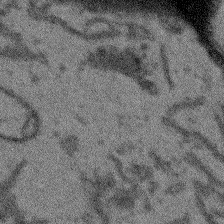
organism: Arabidopsis thaliana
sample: Root tip